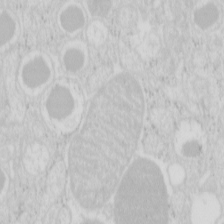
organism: Mouse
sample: Pancreas